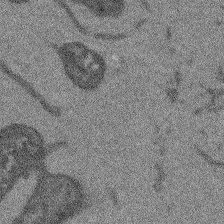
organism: Arabidopsis thaliana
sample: Root tip